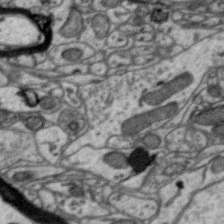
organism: Zebra finch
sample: Brain